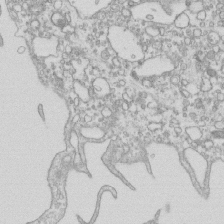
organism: Mouse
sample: Macrophages